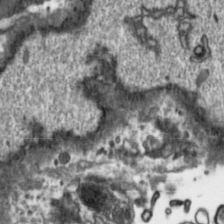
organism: Toxoplasma gondii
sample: Parasites in a vacuole inside a host cell